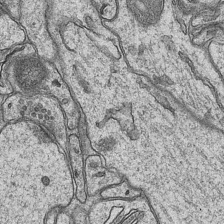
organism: Mouse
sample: CA1 Hippocampus